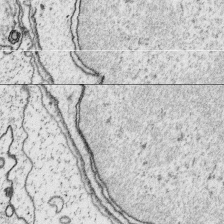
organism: Platynereis dumerilii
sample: Parapodia